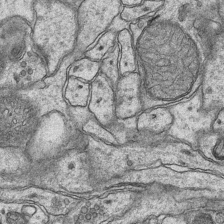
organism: Mouse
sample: CA1 Hippocampus